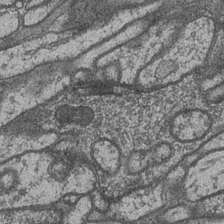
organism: Drosophila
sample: Optic medulla